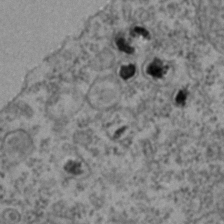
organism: Zebrafish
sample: Zebrafish embryo